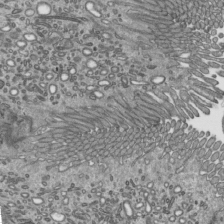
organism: Mouse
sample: Mouse epididymis efferent ductule cilia